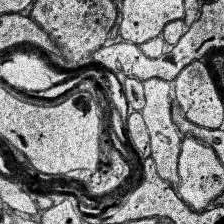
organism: Human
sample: Temporal Lobe